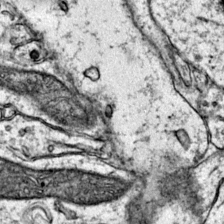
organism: Mouse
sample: Primary visual cortex